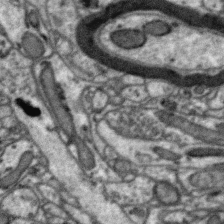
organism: Zebra finch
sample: Brain